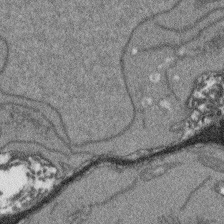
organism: Arabidopsis thaliana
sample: Root tip